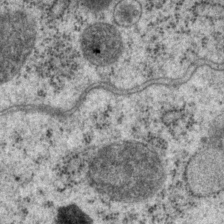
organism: P. pacificus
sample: Pharynx